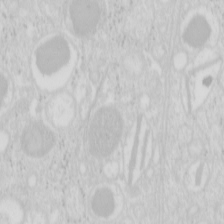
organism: Mouse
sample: Pancreas